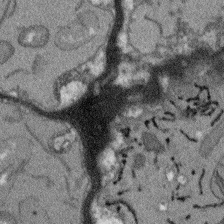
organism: Arabidopsis thaliana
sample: Root tip